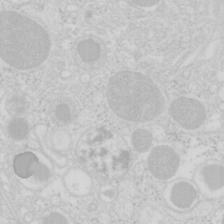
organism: Mouse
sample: Pancreas